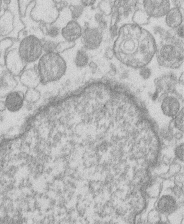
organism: Human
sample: Macrophage cells